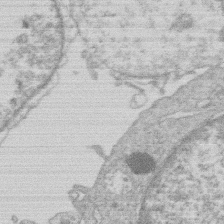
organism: Human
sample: Macrophage cells